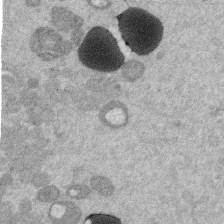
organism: Mouse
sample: Dividing mouse embryo 1 cell stage